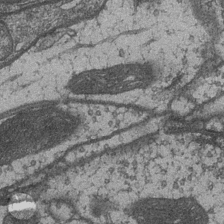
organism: Drosophila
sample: Optic medulla